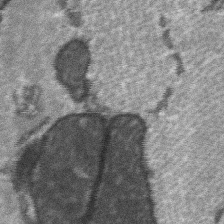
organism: C57BL Mouse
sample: Soleus